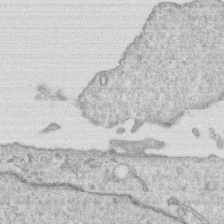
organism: Human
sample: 1205lu cells